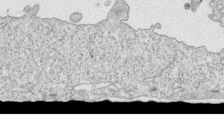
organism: Human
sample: HeLa cell HIV synapse